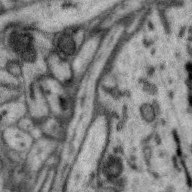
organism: Zebra finch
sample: Brain